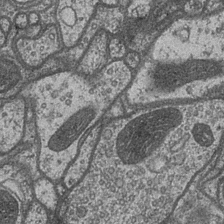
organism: Drosophila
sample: Optic medulla